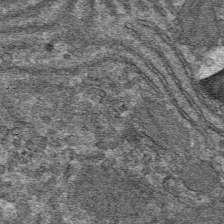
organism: Mouse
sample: Mouse hepatocytes